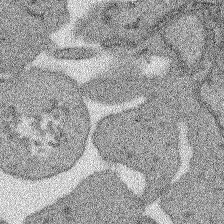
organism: Human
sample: HeLa cells